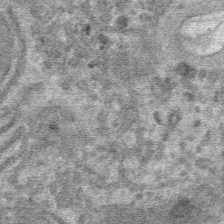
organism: Mouse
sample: Mouse hepatocytes